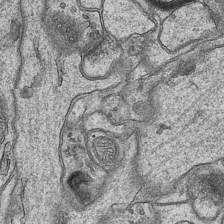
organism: Mouse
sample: CA1 Hippocampus